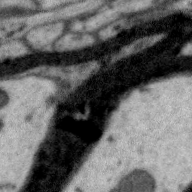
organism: Zebra finch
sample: Brain